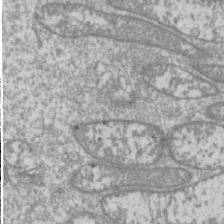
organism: Drosophila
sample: Cell division; meiosis; drosophila spermatocytes